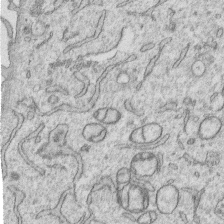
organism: Human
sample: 1205lu cells